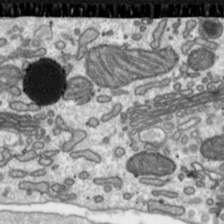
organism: Toxoplasma gondii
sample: Parasites in a vacuole inside a host cell